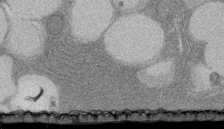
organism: Rat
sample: Salivary granule